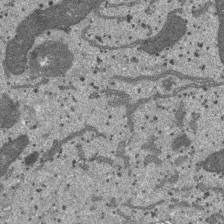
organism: Human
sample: Lung epithelial cells infected with SARS-CoV-2